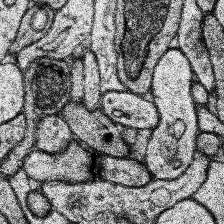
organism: Human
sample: Temporal Lobe